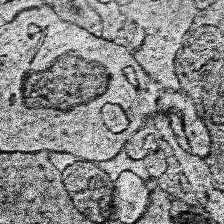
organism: Human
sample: Temporal Lobe